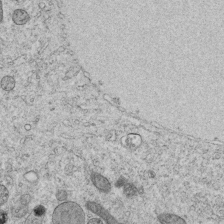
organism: C. elegans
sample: C. elegans embryo early stage